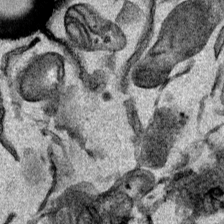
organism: Mouse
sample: Cancer cell death in ED-1 cells